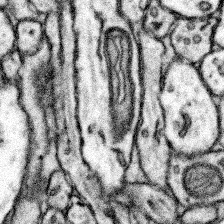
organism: Mouse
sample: Somatosensory cortex neuropil